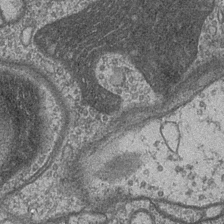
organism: Drosophila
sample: Optic medulla